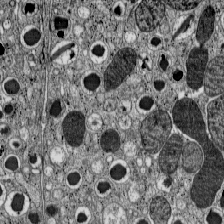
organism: C57BL Mouse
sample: Pancreatic islet